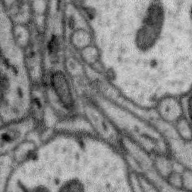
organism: Zebra finch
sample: Brain